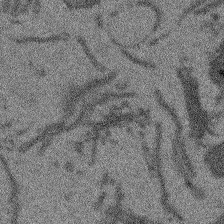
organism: Arabidopsis thaliana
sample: Root tip